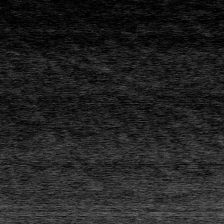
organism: Human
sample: HeLa cells